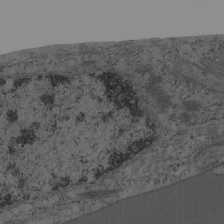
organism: Human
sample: HeLa cells